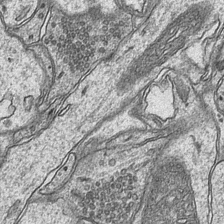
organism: Mouse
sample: CA1 Hippocampus